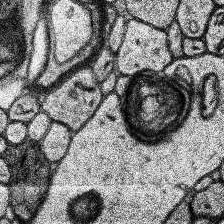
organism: Human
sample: Temporal Lobe